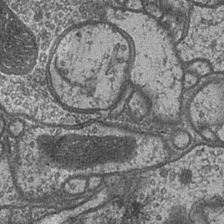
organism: Drosophila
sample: Optic medulla